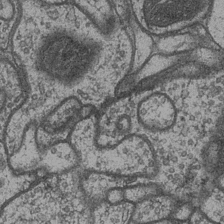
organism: Drosophila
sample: Optic medulla